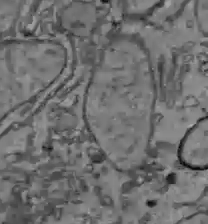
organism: C57BL Mouse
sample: Liver